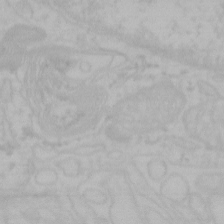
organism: Mouse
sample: Choroid plexus